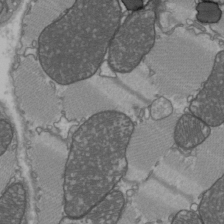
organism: C57BL Mouse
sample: Heart